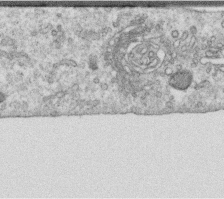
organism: Human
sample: Centriole in RPE cells